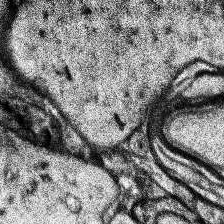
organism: Human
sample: Temporal Lobe